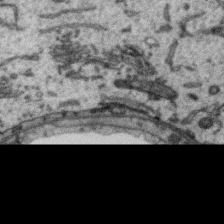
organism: Zebra finch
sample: Brain